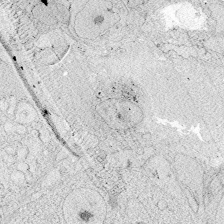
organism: Zebrafish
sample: Whole-Brain